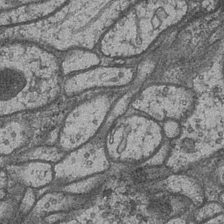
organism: Drosophila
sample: Optic medulla